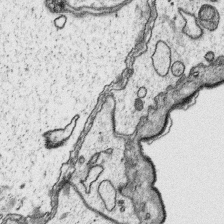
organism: Platynereis dumerilii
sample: Parapodia